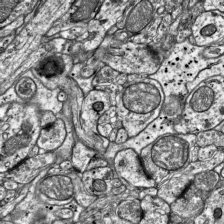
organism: Mouse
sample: Visual Cortex